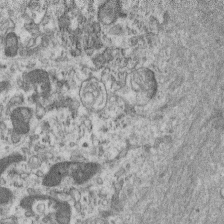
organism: Mouse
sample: Centriole in ependymal cells